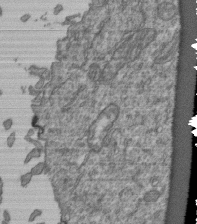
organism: Human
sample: Retinal organoid Rod and Cone cells